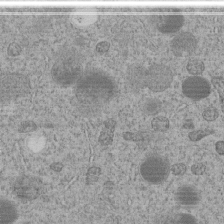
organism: C. elegans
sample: C. elegans embryo early stage